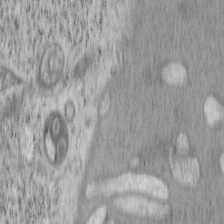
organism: Human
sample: HeLa cells